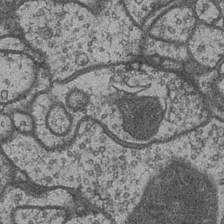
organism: Drosophila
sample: Optic medulla